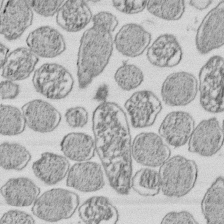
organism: E. coli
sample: Bacterial nucleoid